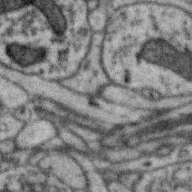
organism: Zebra finch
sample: Brain